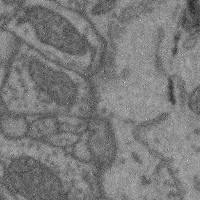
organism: Mouse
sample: Cerebral cortex